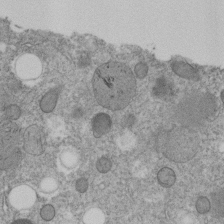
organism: C. elegans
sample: C. elegans embryo early stage